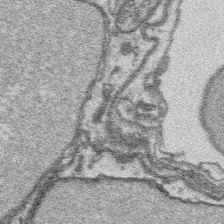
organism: Platynereis dumerilii